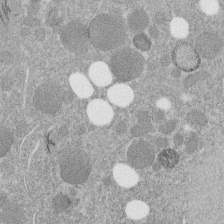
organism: C. elegans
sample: C. elegans embryo early stage